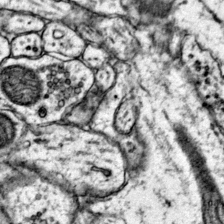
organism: Mouse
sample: Primary visual cortex